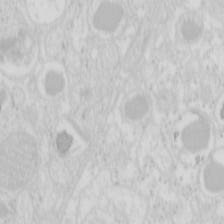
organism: Mouse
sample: Pancreas